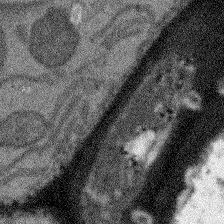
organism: Arabidopsis thaliana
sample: Root tip